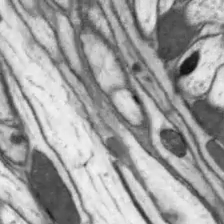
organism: Drosophila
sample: Optic lobe